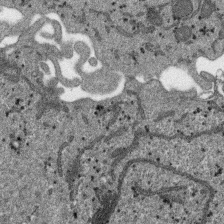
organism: Human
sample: Lung epithelial cells infected with SARS-CoV-2